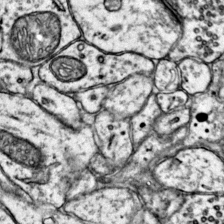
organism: Mouse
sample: Primary visual cortex